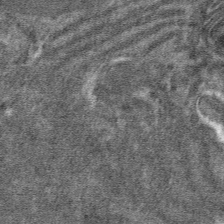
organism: Mouse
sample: Mouse hepatocytes